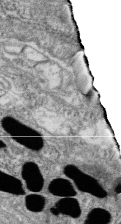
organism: Zebrafish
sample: Cilia; retinal pigment epithelium